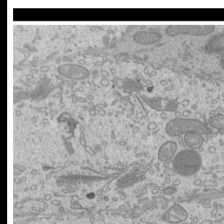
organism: Mouse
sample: Cilia; mouse epididymis